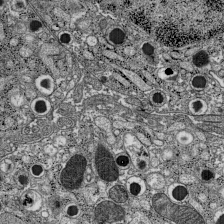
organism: C57BL Mouse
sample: Pancreatic islet